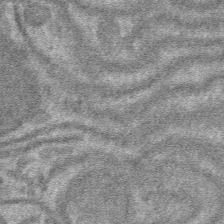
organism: Mouse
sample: Mouse hepatocytes